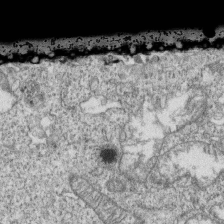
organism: Human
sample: HeLa cell HIV synapse